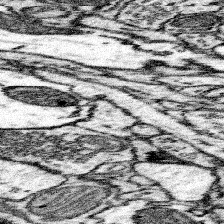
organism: Mouse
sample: Somatosensory cortex neuropil